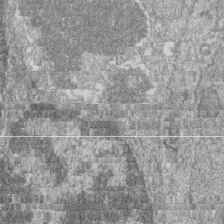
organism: Zebrafish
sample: Cilia; retinal pigment epithelium